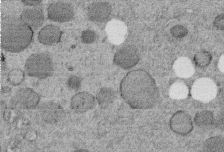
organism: C. elegans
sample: C. elegans embryo early stage